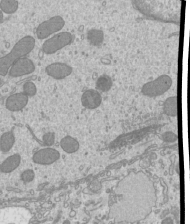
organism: Mouse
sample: Cilia; mouse epididymis